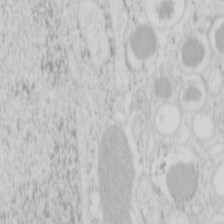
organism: Mouse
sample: Pancreas